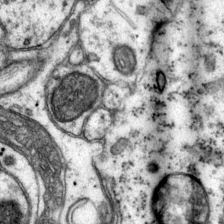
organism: Mouse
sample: Primary visual cortex